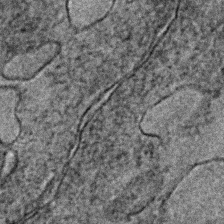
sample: Trachea